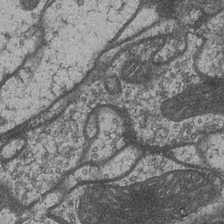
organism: Drosophila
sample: Optic medulla